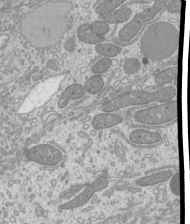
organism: Mouse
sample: Cilia; mouse epididymis